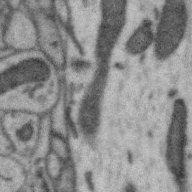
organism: Zebra finch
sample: Brain